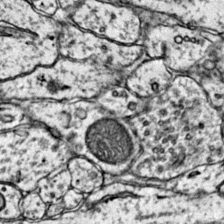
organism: Mouse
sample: Primary visual cortex